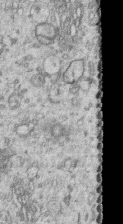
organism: Human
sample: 1205lu cells